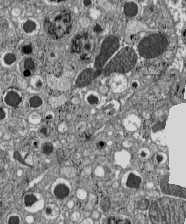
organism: C57BL Mouse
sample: Pancreatic islet